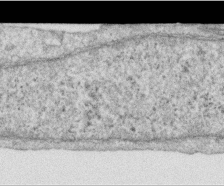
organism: Human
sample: Centriole in RPE cells